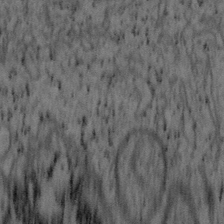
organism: Human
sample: HeLa cells